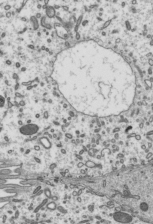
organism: Mouse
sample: Mouse epididymis efferent ductule cilia